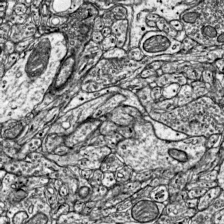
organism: Mouse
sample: Visual Cortex